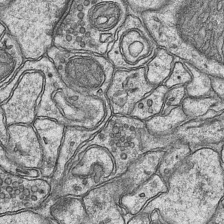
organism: Mouse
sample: CA1 Hippocampus